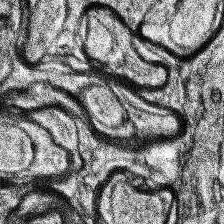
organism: Human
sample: Temporal Lobe